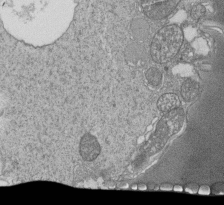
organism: Tetrahymena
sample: Cilia in tetrahymena